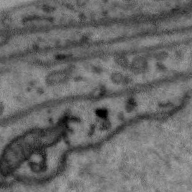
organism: Zebra finch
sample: Brain